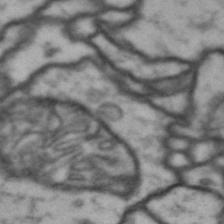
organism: Drosophila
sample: Brain